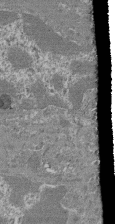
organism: Mouse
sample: Glomerulus